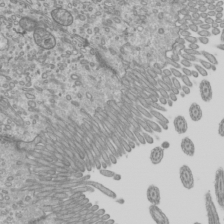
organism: Mouse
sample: Cilia; mouse epididymis